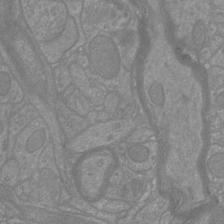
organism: Mouse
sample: Cortical neurons